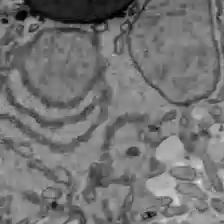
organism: C57BL Mouse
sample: Liver